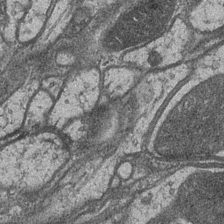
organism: Drosophila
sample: Optic medulla